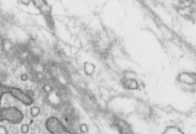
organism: Toxoplasma gondii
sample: Parasites in a vacuole inside a host cell